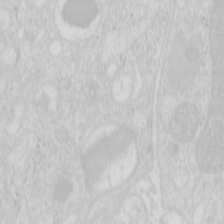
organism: Mouse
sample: Pancreas